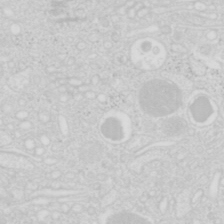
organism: Mouse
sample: Pancreas